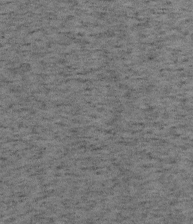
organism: Mouse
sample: OT-I killer T cells with ID8 ovarian cancer cells